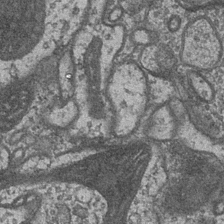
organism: Drosophila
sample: Optic medulla